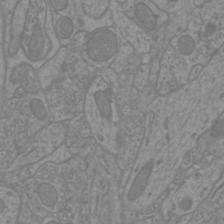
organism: Mouse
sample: Cortical neurons